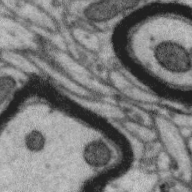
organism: Zebra finch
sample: Brain